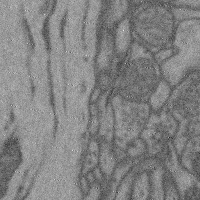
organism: Mouse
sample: Cerebral cortex